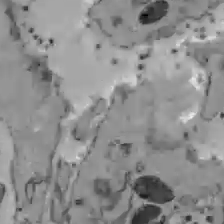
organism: C57BL Mouse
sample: Liver